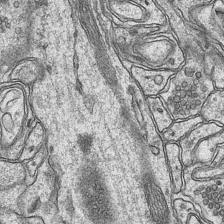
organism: Mouse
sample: CA1 Hippocampus